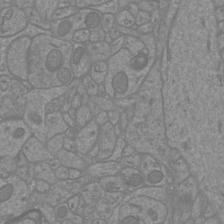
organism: Mouse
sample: Cortical neurons